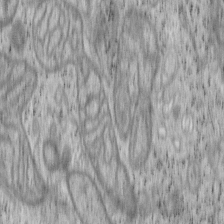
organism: Human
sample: HeLa cells